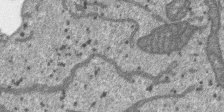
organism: Human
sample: Lung epithelial cells infected with SARS-CoV-2